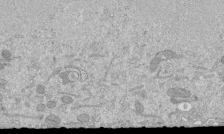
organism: Mouse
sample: ED-1 cell nuclei; centrioles